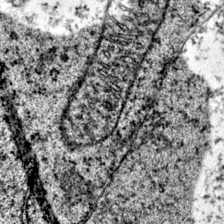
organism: Mouse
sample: Primary visual cortex